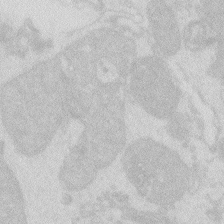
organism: Zebrafish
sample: Macrophage